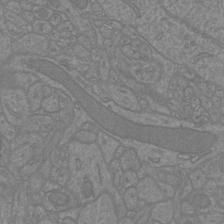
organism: Mouse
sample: Cortical neurons